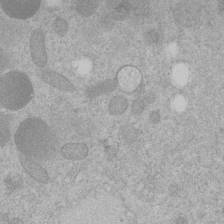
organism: C. elegans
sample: C. elegans embryo early stage